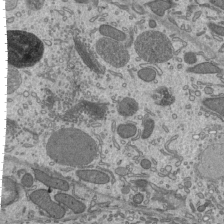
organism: Mouse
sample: Mouse epididymis efferent ductule cilia